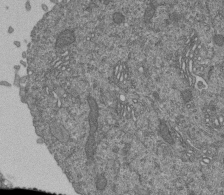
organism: Human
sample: Retinal organoid Rod and Cone cells